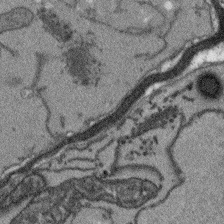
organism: Arabidopsis thaliana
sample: Root tip